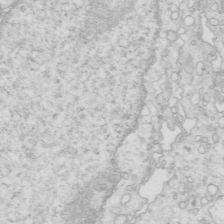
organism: Mouse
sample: Multiciliated cells